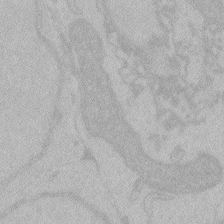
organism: Zebrafish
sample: Macrophage infected with Toxoplasma gondii